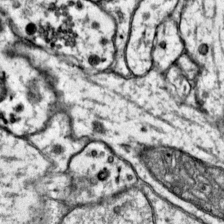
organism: Mouse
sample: Primary visual cortex